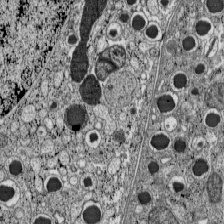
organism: C57BL Mouse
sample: Pancreatic islet